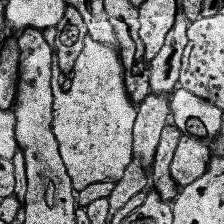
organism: Human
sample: Temporal Lobe